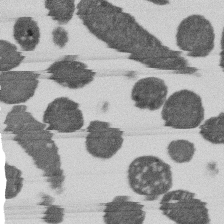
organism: E. coli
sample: Bacterial nucleoid